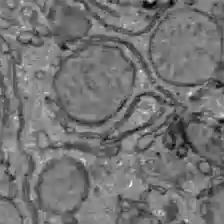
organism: C57BL Mouse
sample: Liver